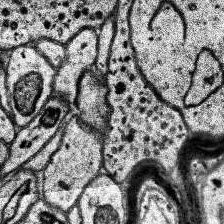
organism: Human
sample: Temporal Lobe